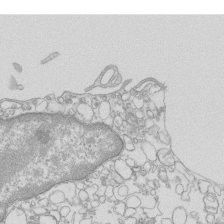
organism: Mouse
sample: Macrophages